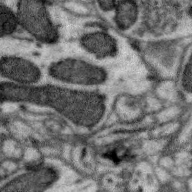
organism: Zebra finch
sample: Brain